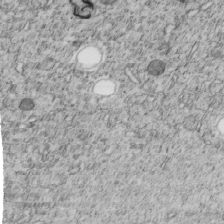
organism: C. elegans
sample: C. elegans embryo early stage